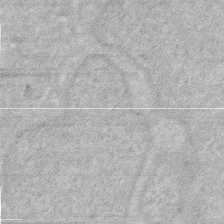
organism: Human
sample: HIV infected U937 cells